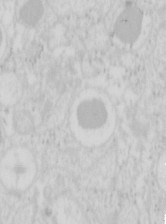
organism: Mouse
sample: Pancreas